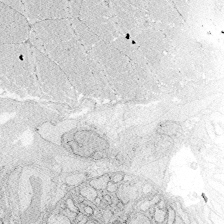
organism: Zebrafish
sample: Whole-Brain